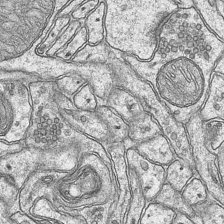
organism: Mouse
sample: CA1 Hippocampus